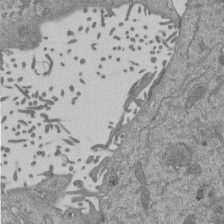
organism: Mouse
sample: ED-1 cell nuclei; centrioles